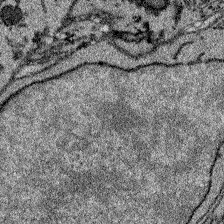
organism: Zebrafish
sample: Larval olfactory bulb